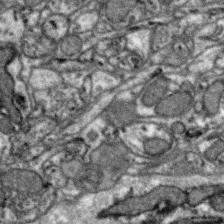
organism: Zebra finch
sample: Brain